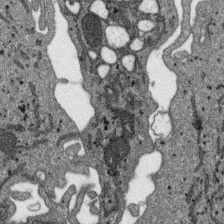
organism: Human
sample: Lung epithelial cells infected with SARS-CoV-2